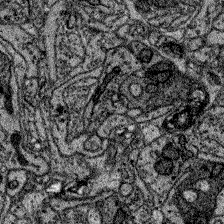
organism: Zebrafish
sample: Larval olfactory bulb